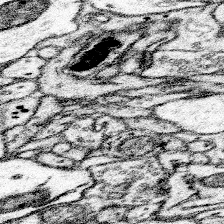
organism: Mouse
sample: Somatosensory cortex neuropil